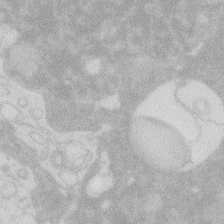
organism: Zebrafish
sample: Macrophage